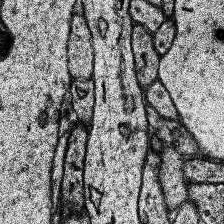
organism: Human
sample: Temporal Lobe